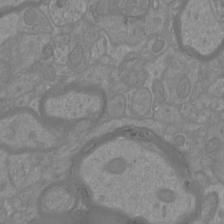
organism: Mouse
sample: Cortical neurons